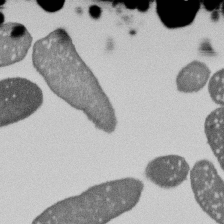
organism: E. coli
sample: Bacterial nucleoid